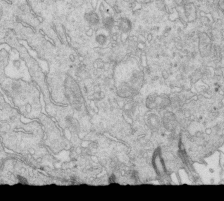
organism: Mouse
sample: Multiciliated cells